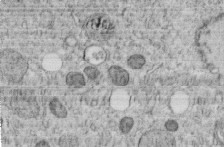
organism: C. elegans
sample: C. elegans embryo early stage